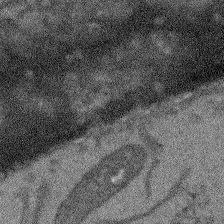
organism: Arabidopsis thaliana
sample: Root tip